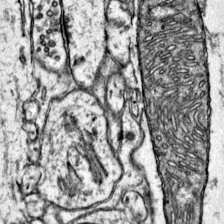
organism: Mouse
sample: Primary visual cortex